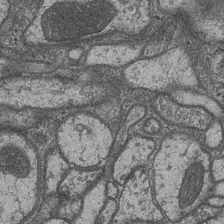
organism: Drosophila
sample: Optic medulla